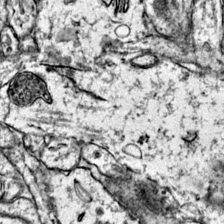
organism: Mouse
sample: Primary visual cortex